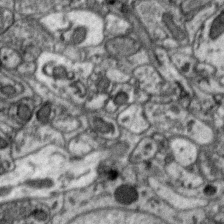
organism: Zebra finch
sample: Brain